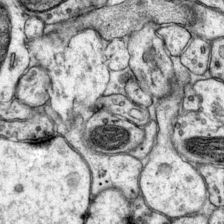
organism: Mouse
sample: Primary visual cortex